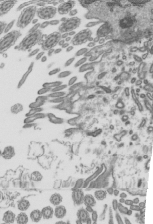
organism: Mouse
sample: Mouse epididymis efferent ductule cilia